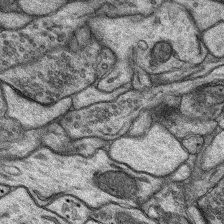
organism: Rat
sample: Hippocampus